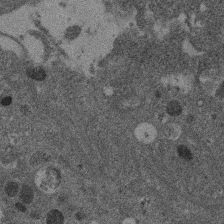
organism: Mouse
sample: Dividing mouse embryo 1 cell stage